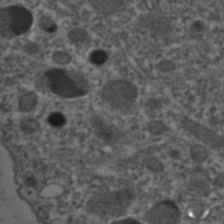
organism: C. elegans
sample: C. elegans embryo